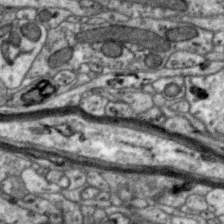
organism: Zebra finch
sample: Brain